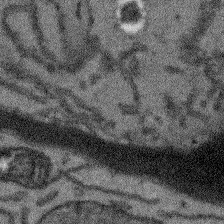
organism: Arabidopsis thaliana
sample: Root tip